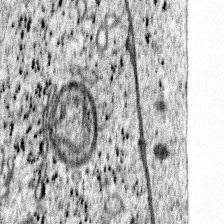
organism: Human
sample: HeLa cells